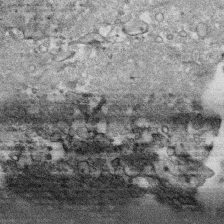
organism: Human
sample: CRL-1474